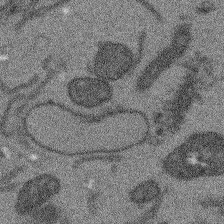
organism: Arabidopsis thaliana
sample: Root tip